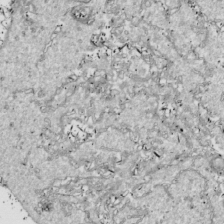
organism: Drosophila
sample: Cell division; meiosis; drosophila spermatocytes